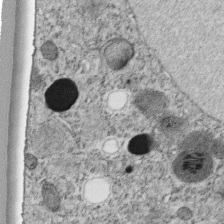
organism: C. elegans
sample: C. elegans embryo early stage